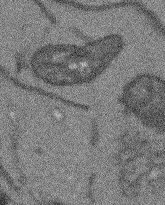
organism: Arabidopsis thaliana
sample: Root tip